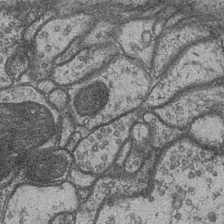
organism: Drosophila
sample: Optic medulla